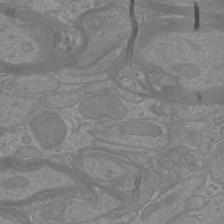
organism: Mouse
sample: Cortical neurons